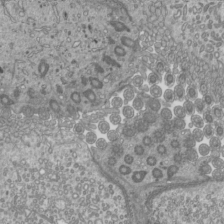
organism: Mouse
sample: Cilia; mouse epididymis